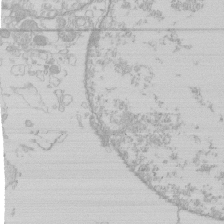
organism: Human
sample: Macrophage cells